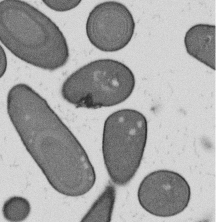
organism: B. subtilis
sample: Bacterial spore